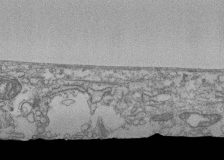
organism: Human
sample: Fibroblast cells